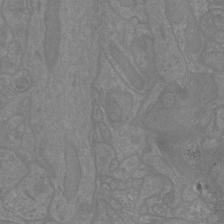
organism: Mouse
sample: Cortical neurons